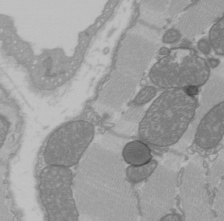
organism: C57BL Mouse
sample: Heart